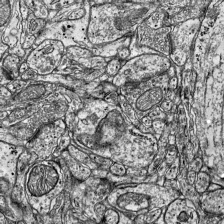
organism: Mouse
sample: Visual Cortex